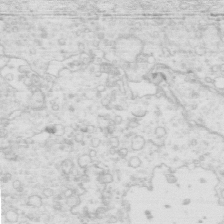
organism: Mouse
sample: Multiciliated cells